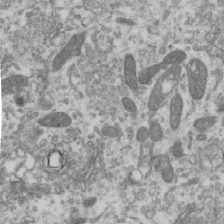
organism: Human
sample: Centriole in RPE cells